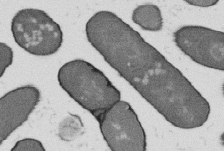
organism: B. subtilis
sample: Bacterial spore